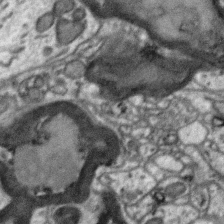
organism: Zebra finch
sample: Brain